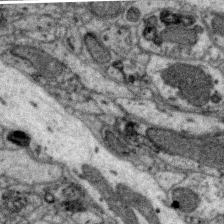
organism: Zebra finch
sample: Brain